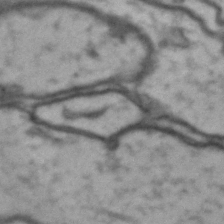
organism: Drosophila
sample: Brain